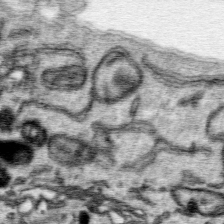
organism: Human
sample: HeLa cells